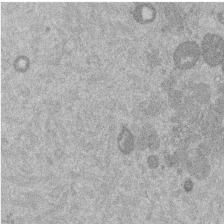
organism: Mouse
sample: Dividing mouse embryo 1 cell stage